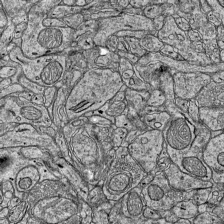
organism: Mouse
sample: Visual Cortex